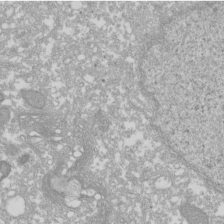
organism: Xenopus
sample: Cilia; centrioles in frog embryo cells